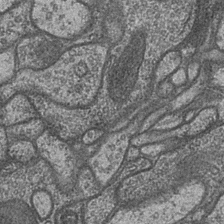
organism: Drosophila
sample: Optic medulla